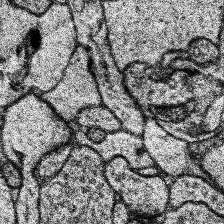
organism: Human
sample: Temporal Lobe